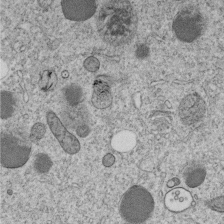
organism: C. elegans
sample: C. elegans embryo early stage